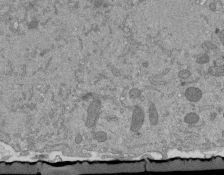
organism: Mouse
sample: ED-1 cell nuclei; centrioles